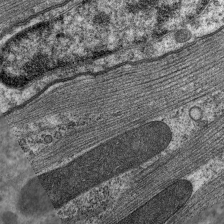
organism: C. elegans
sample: Pharynx